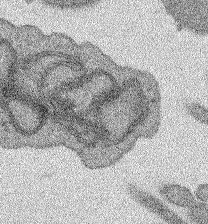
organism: Human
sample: HeLa cells